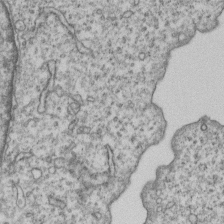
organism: Human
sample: MDA-MB-231 cells